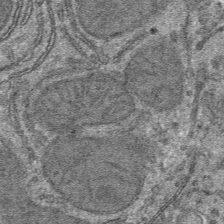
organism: Mouse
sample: Mouse hepatocytes